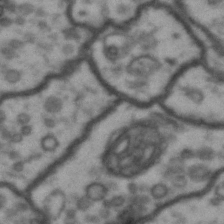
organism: Drosophila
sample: Brain